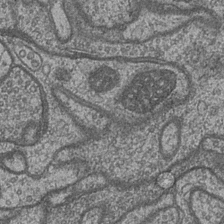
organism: Drosophila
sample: Optic medulla